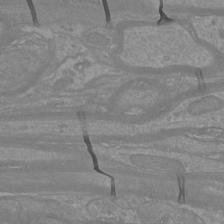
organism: Mouse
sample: Cortical neurons